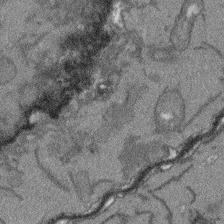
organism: Arabidopsis thaliana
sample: Root tip